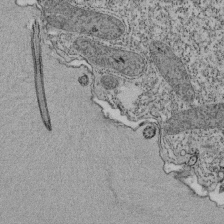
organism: Tetrahymena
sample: Cilia in tetrahymena